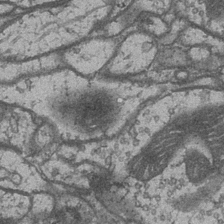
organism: Drosophila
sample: Optic medulla